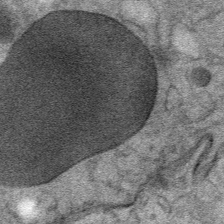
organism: Mouse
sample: Mouse Salivary gland